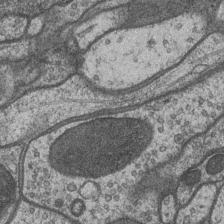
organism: Drosophila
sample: Optic medulla